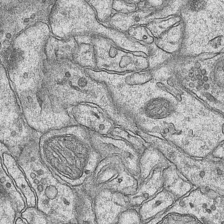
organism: Mouse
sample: CA1 Hippocampus